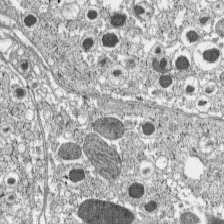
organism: C57BL Mouse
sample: Pancreatic islet